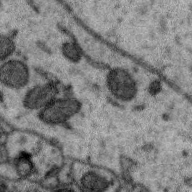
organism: Zebra finch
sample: Brain